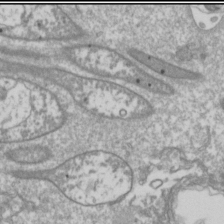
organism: Drosophila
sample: Cell division; meiosis; drosophila spermatocytes